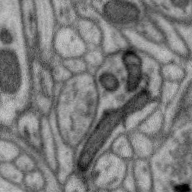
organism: Zebra finch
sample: Brain